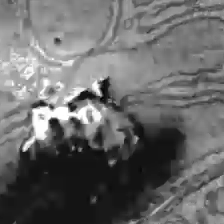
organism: C57BL Mouse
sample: Liver